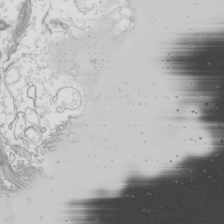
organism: Mouse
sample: Cilia; mouse epididymis